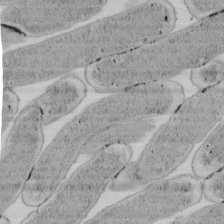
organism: E. coli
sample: Bacterial nucleoid